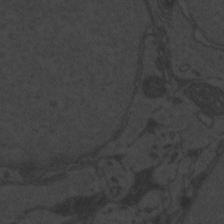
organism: Zebrafish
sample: Macrophage infected with Toxoplasma gondii